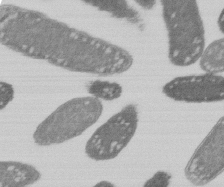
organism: E. coli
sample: Bacterial nucleoid